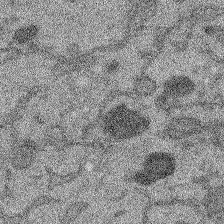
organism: Human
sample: HeLa cells